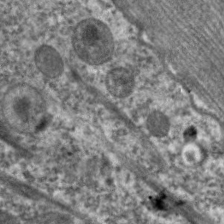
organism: C. elegans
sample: Pharynx